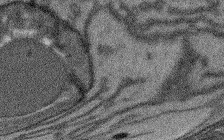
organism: Arabidopsis thaliana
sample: Root tip